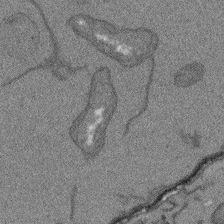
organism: Arabidopsis thaliana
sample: Root tip